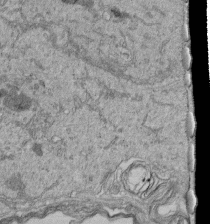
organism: Human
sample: Retinal organoid Rod and Cone cells